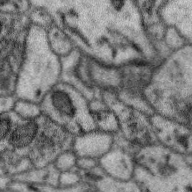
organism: Zebra finch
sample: Brain